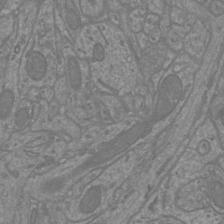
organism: Mouse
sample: Cortical neurons